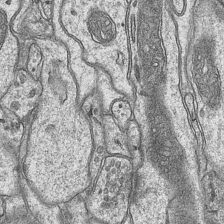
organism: Mouse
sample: CA1 Hippocampus